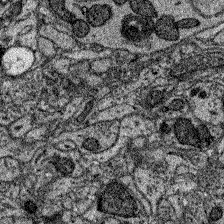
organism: Zebrafish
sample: Larval olfactory bulb